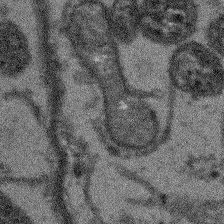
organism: Arabidopsis thaliana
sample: Root tip